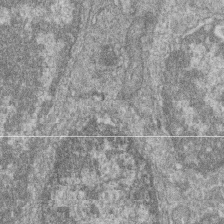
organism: Zebrafish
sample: Cilia; retinal pigment epithelium